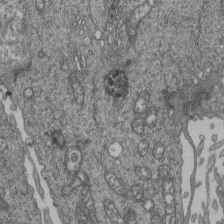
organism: Human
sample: Retinal organoid Rod and Cone cells